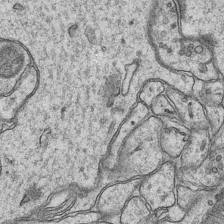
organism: Mouse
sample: CA1 Hippocampus